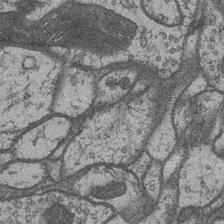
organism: Drosophila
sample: Optic medulla